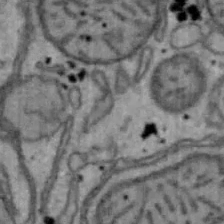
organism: Mouse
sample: Liver